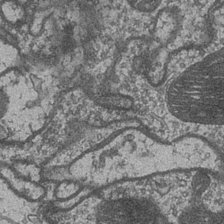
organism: Drosophila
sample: Optic medulla